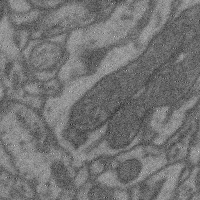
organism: Mouse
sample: Cerebral cortex